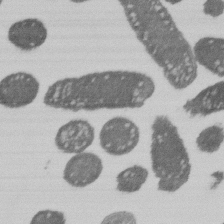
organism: E. coli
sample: Bacterial nucleoid